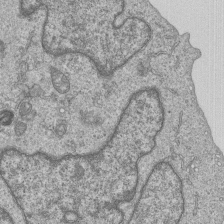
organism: Human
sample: MDA-MB-231 cells